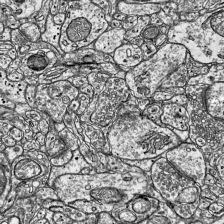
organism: Mouse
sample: Visual Cortex